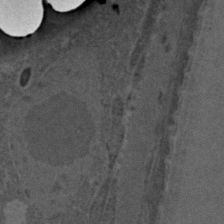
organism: C. elegans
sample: C. elegans embryo